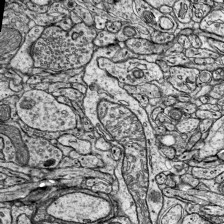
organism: Mouse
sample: Visual Cortex